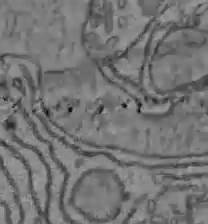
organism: C57BL Mouse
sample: Liver